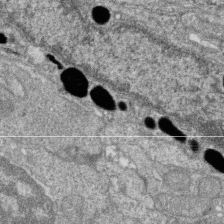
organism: Zebrafish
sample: Cilia; retinal pigment epithelium